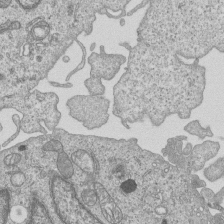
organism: Human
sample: MDA-MB-231 cells